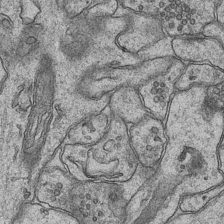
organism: Mouse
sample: CA1 Hippocampus